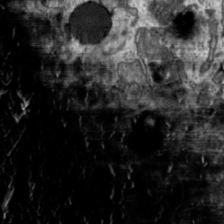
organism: Toxoplasma gondii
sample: Parasites in a vacuole inside a host cell